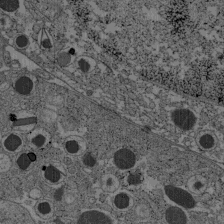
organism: C57BL Mouse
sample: Pancreatic islet